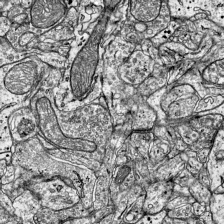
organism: Mouse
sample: Visual Cortex